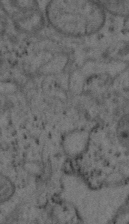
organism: Human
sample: HeLa cells